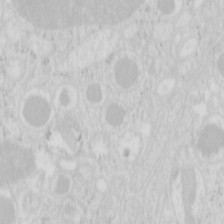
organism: Mouse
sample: Pancreas